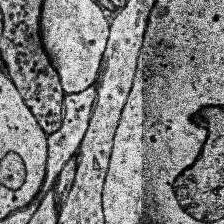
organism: Human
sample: Temporal Lobe